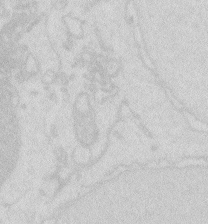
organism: Zebrafish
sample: Macrophage